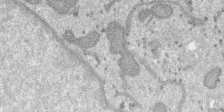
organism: Human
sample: Lung epithelial cells infected with SARS-CoV-2